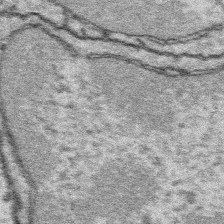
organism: Platynereis dumerilii